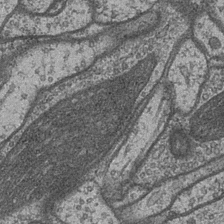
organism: Drosophila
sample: Optic medulla